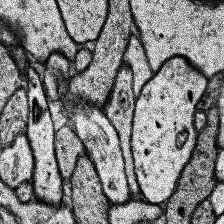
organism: Human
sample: Temporal Lobe